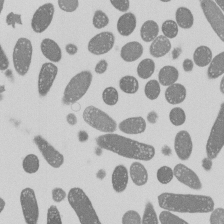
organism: E. coli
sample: Bacterial nucleoid